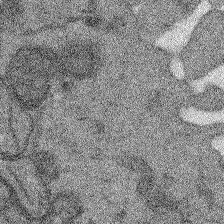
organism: Human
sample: HeLa cells